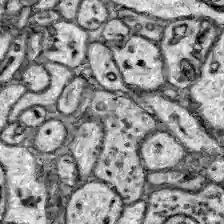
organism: Zebrafish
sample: Brain